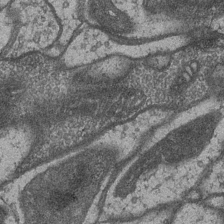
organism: Drosophila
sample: Optic medulla